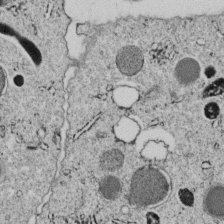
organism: C. elegans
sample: C. elegans embryo early stage